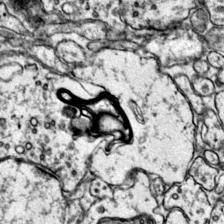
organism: Mouse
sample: Primary visual cortex